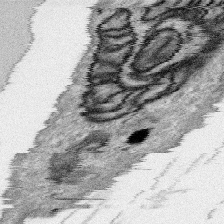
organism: Human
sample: HeLa cells